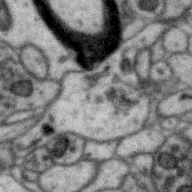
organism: Zebra finch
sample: Brain